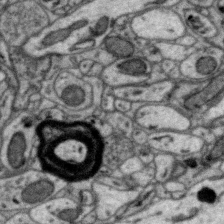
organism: Zebra finch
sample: Brain